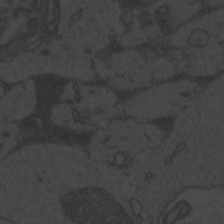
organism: Zebrafish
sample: Macrophage infected with Toxoplasma gondii